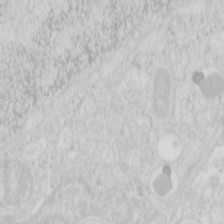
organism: Mouse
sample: Pancreas